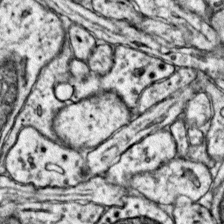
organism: Mouse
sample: Primary visual cortex